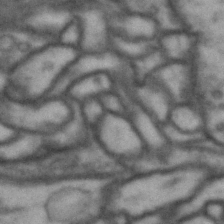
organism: Drosophila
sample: Brain